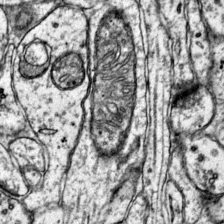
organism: Mouse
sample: Primary visual cortex